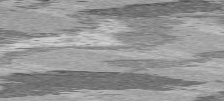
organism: C57BL Mouse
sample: Heart